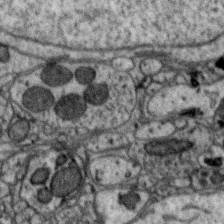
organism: Zebra finch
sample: Brain